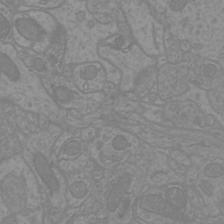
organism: Mouse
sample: Cortical neurons